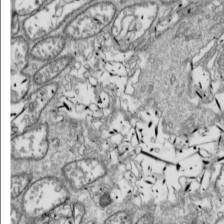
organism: Drosophila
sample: Cell division; meiosis; drosophila spermatocytes